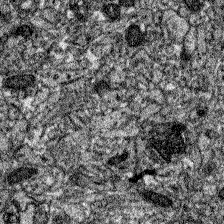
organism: Zebrafish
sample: Larval olfactory bulb